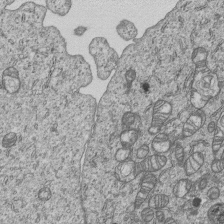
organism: Human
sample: MDA-MB-231 cells